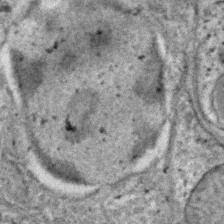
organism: C. elegans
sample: C. elegans embryo